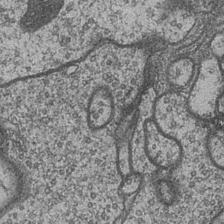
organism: Drosophila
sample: Optic medulla